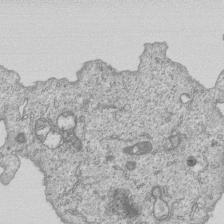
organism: Human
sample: MDA-MB-231 cells